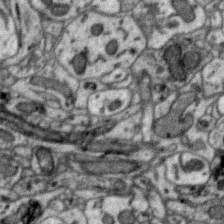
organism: Zebra finch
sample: Brain